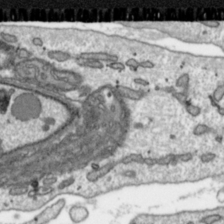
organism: Toxoplasma gondii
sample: Parasites in a vacuole inside a host cell